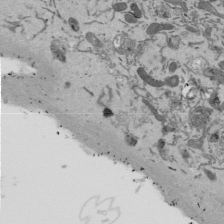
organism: Mouse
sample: ED-1 cell nuclei; centrioles